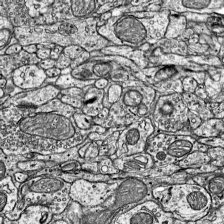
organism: Mouse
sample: Visual Cortex